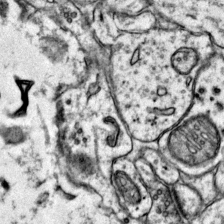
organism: Mouse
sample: Primary visual cortex